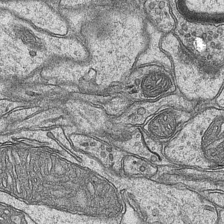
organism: Mouse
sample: CA1 Hippocampus